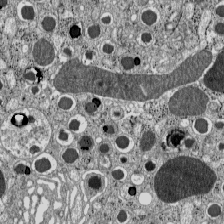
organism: C57BL Mouse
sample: Pancreatic islet